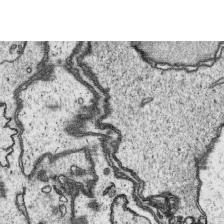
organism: Platynereis dumerilii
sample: Parapodia